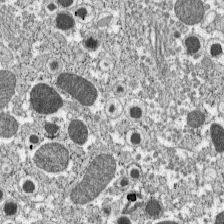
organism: C57BL Mouse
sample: Pancreatic islet